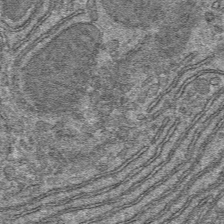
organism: Mouse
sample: Mouse hepatocytes